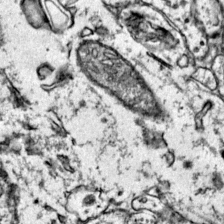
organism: Mouse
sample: Primary visual cortex